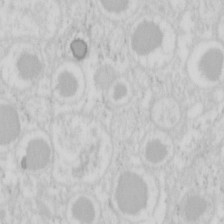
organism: Mouse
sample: Pancreas